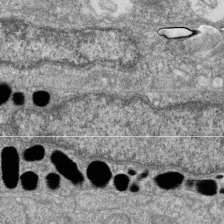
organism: Zebrafish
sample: Cilia; retinal pigment epithelium